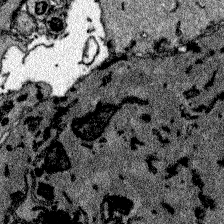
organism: Zebrafish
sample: Larval olfactory bulb